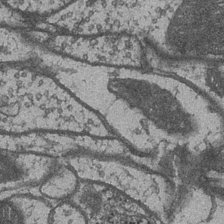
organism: Drosophila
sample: Optic medulla